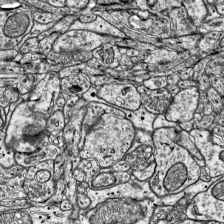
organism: Mouse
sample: Visual Cortex